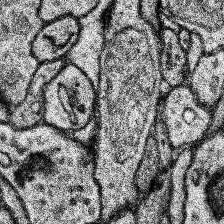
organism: Human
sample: Temporal Lobe